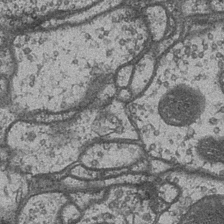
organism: Drosophila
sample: Optic medulla